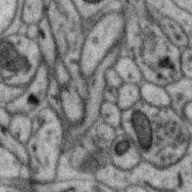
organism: Zebra finch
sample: Brain